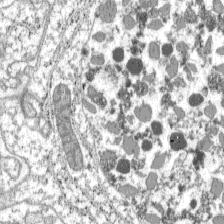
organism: C57BL Mouse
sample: Pancreatic islet